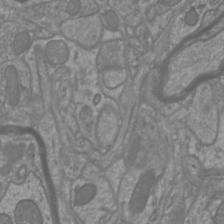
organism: Mouse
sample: Cortical neurons